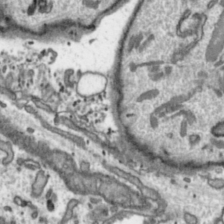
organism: Toxoplasma gondii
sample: Parasites in a vacuole inside a host cell